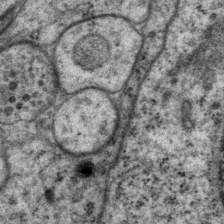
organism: P. pacificus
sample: Pharynx